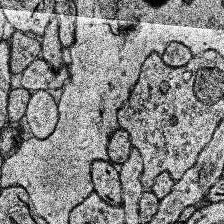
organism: Human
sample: Temporal Lobe